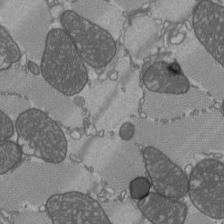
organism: C57BL Mouse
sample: Heart